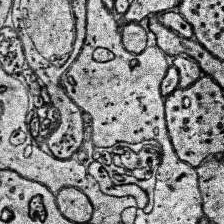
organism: Human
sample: Temporal Lobe